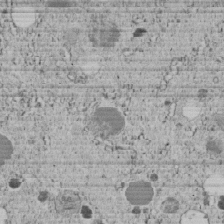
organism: C. elegans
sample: C. elegans embryo early stage